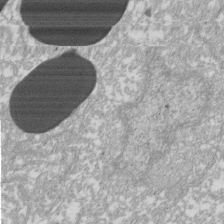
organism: Xenopus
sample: Cilia; centrioles in frog embryo cells